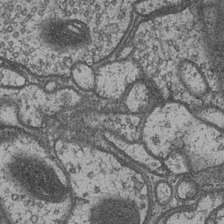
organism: Drosophila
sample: Optic medulla